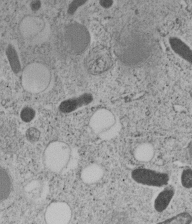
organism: C. elegans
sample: C. elegans embryo early stage